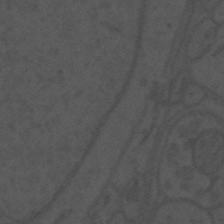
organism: Mouse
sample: Suprachiasmatic nucleus